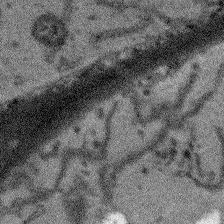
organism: Arabidopsis thaliana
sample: Root tip